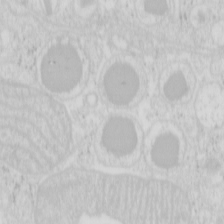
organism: Mouse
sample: Pancreas